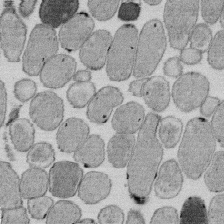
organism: E. coli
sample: Bacterial nucleoid